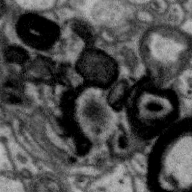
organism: Zebra finch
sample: Brain